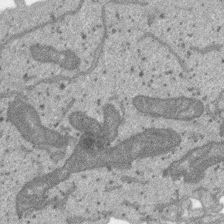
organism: Human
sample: Lung epithelial cells infected with SARS-CoV-2